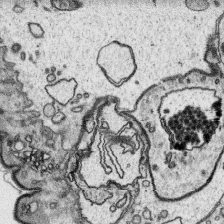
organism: Platynereis dumerilii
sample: Parapodia